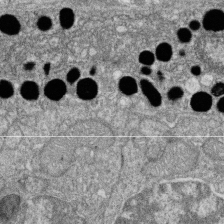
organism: Zebrafish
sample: Cilia; retinal pigment epithelium